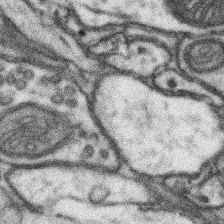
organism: Mouse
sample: Somatosensory cortex neuropil